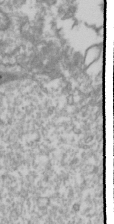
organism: Drosophila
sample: Cell division; meiosis; drosophila spermatocytes